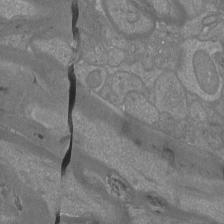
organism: Mouse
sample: Cortical neurons